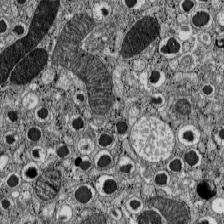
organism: C57BL Mouse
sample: Pancreatic islet